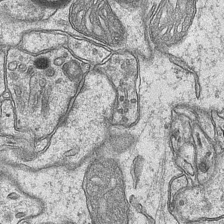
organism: Mouse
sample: CA1 Hippocampus